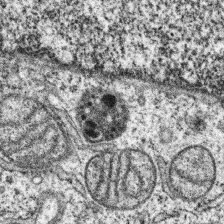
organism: Human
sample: HeLa cells